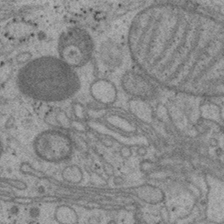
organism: Human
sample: HeLa cells